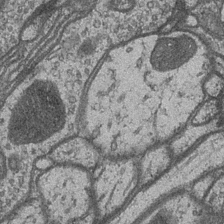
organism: Drosophila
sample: Optic medulla